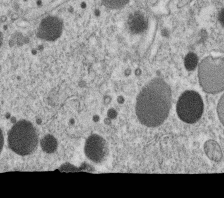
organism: C. elegans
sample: C. elegans oocyte; sperm cells